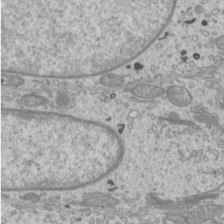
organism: Mouse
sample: Cilia; mouse epididymis